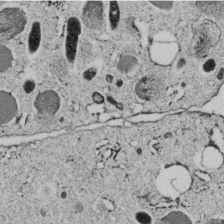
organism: C. elegans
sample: C. elegans embryo early stage